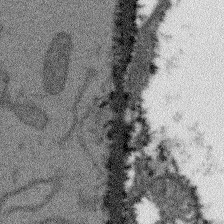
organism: Arabidopsis thaliana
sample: Root tip